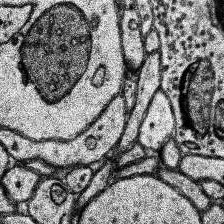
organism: Human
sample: Temporal Lobe